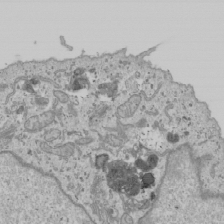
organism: Human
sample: Mitochondria in U2OS cells